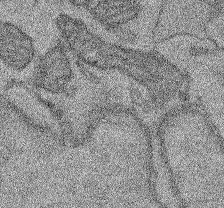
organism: Human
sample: HeLa cells